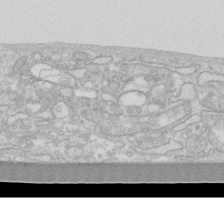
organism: Human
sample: Fibroblast cells